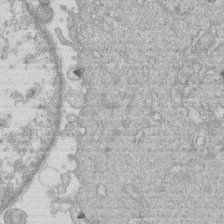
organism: Human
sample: Macrophage cells